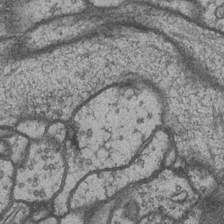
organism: Drosophila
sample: Optic medulla